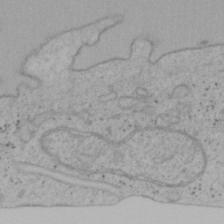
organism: Human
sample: HeLa cells